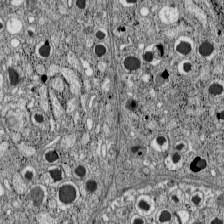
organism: C57BL Mouse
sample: Pancreatic islet